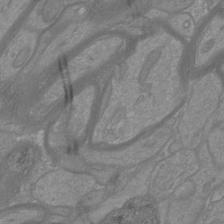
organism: Mouse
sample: Cortical neurons